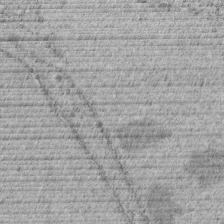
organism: C. elegans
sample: C. elegans embryo early stage